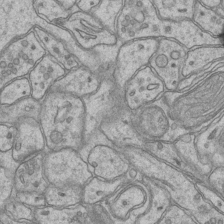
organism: Mouse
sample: CA1 Hippocampus